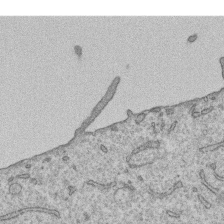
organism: Human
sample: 1205lu cells